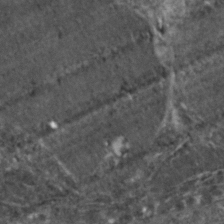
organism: Zebrafish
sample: Zebrafish embryo